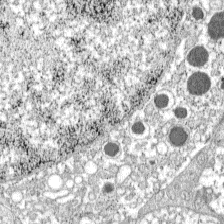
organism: C57BL Mouse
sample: Pancreatic islet